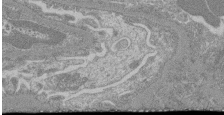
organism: Mouse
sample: Glomerulus